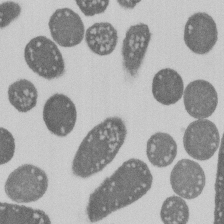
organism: E. coli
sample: Bacterial nucleoid